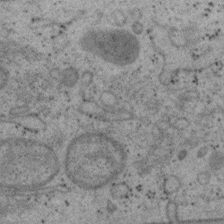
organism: Human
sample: HeLa cells